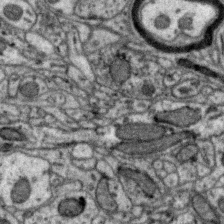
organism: Zebra finch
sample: Brain